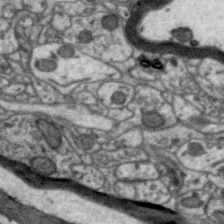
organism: Zebra finch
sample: Brain